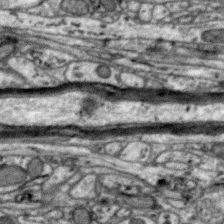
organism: Zebra finch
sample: Brain